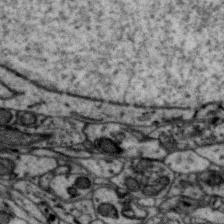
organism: Zebra finch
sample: Brain